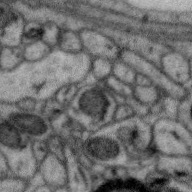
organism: Zebra finch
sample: Brain